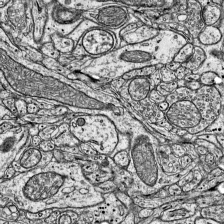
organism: Mouse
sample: Visual Cortex